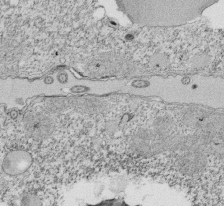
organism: Tetrahymena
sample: Cilia in tetrahymena